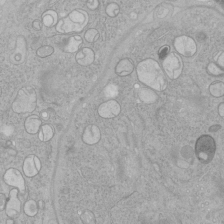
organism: Human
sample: Mitochondria in HCT116 cells